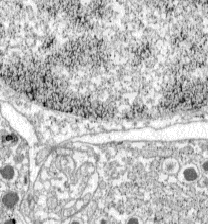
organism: C57BL Mouse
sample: Pancreatic islet